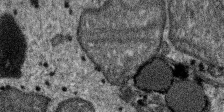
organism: Human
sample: Lung epithelial cells infected with SARS-CoV-2